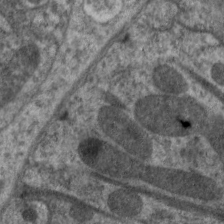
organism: C. elegans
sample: Pharynx